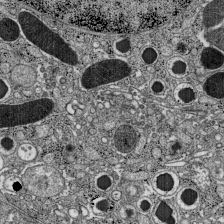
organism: C57BL Mouse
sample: Pancreatic islet